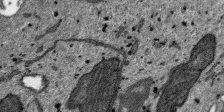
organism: Human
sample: Lung epithelial cells, uninfected (mock) control